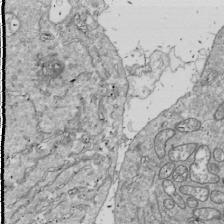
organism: Drosophila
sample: Cell division; meiosis; drosophila spermatocytes